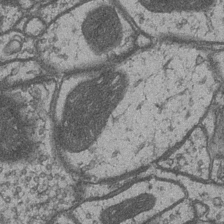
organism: Drosophila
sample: Optic medulla